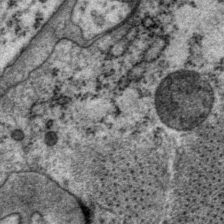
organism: P. pacificus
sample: Pharynx